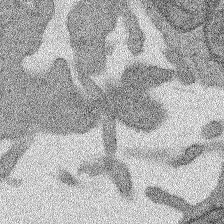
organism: Human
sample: HeLa cells